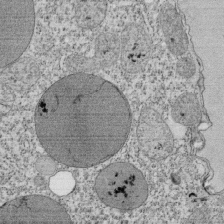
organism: Tetrahymena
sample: Cilia in tetrahymena